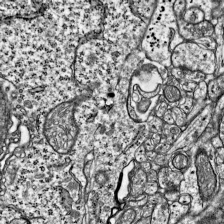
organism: Mouse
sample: Visual Cortex